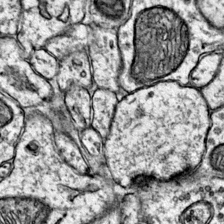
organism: Mouse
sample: Primary visual cortex